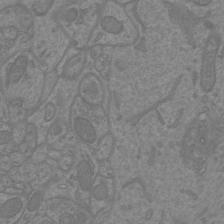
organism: Mouse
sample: Cortical neurons